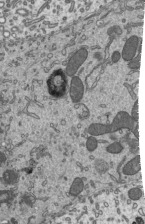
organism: Mouse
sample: Mouse epididymis efferent ductule cilia